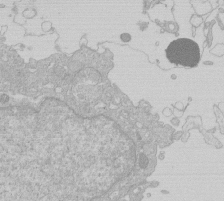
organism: Human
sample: Macrophage cells